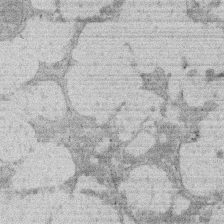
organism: Rat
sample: Salivary granule